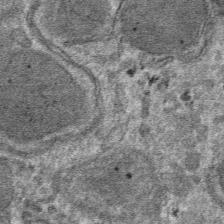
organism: Mouse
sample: Mouse hepatocytes